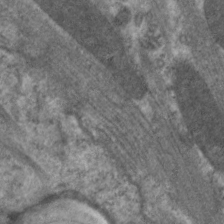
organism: C. elegans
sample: Pharynx